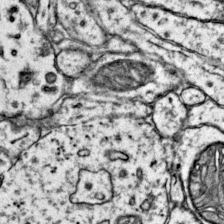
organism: Mouse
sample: Primary visual cortex